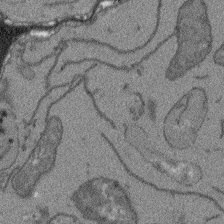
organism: Arabidopsis thaliana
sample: Root tip